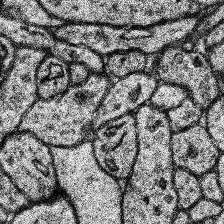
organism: Human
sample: Temporal Lobe